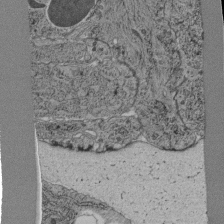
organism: C. elegans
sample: C. elegans pharynx